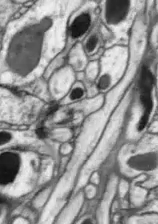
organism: Drosophila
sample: Optic lobe